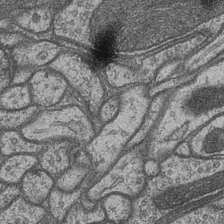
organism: Drosophila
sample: Optic medulla